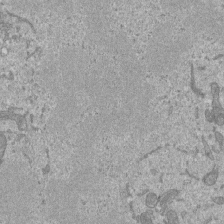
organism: Mouse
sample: ED-1 cell nuclei; centrioles